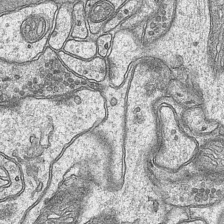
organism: Mouse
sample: CA1 Hippocampus